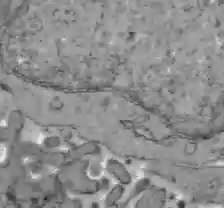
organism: C57BL Mouse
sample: Liver